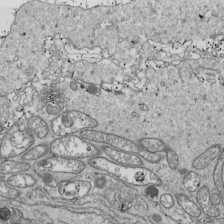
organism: Drosophila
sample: Cell division; meiosis; drosophila spermatocytes